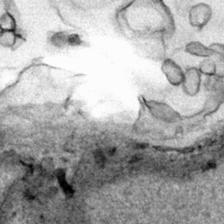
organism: Human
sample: Mitochondria in HCT116 cells